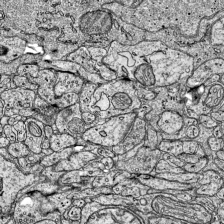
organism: Mouse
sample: Visual Cortex